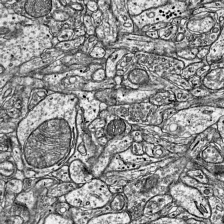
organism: Mouse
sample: Visual Cortex